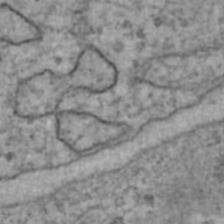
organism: Human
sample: Blood